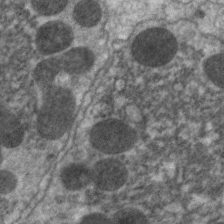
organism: C. elegans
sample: Pharynx